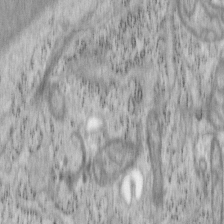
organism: Human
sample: HeLa cells